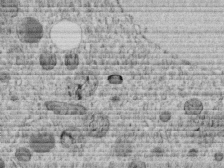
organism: C. elegans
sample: C. elegans embryo early stage